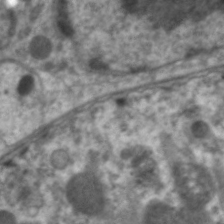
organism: C. elegans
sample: Pharynx